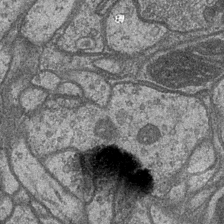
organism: Drosophila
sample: Optic medulla